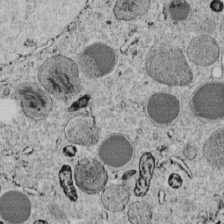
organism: C. elegans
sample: C. elegans embryo early stage